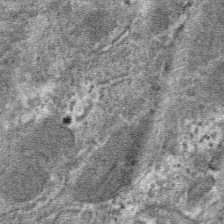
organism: Mouse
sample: Mouse hepatocytes